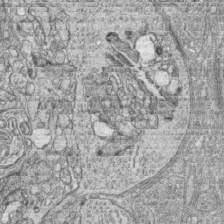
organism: Zebrafish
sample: synaptic ribbons in rod cells and cone cells